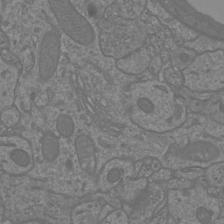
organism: Mouse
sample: Cortical neurons